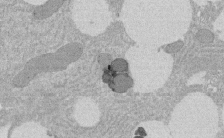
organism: Rat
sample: Salivary granule